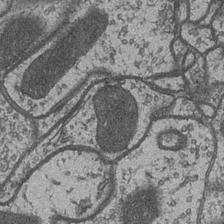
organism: Drosophila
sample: Optic medulla